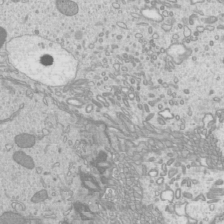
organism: Mouse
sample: Cilia; mouse epididymis